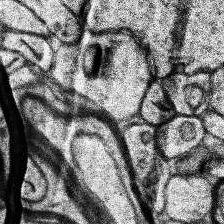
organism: Human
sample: Temporal Lobe